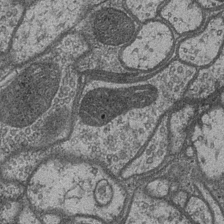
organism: Drosophila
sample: Optic medulla